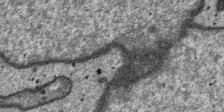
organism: Human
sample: Lung epithelial cells, uninfected (mock) control